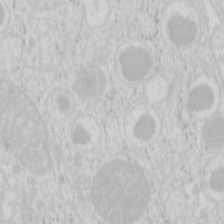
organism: Mouse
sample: Pancreas